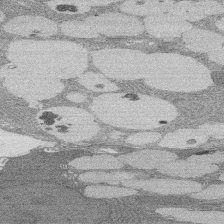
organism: Rat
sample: Salivary granule